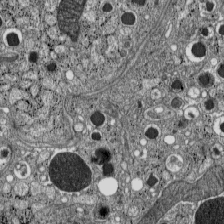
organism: C57BL Mouse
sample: Pancreatic islet